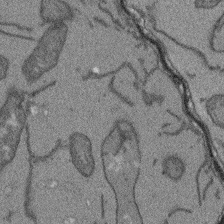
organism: Arabidopsis thaliana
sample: Root tip